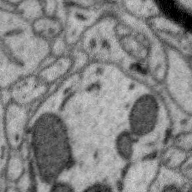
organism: Zebra finch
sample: Brain